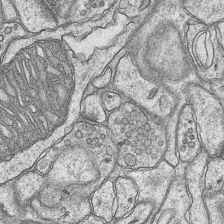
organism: Mouse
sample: CA1 Hippocampus